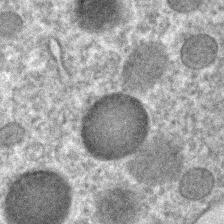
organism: C. elegans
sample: C. elegans embryo